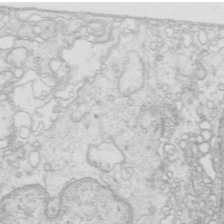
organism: Mouse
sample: Multiciliated cells